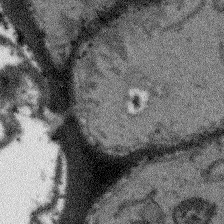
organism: Arabidopsis thaliana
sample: Root tip